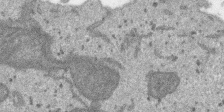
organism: Human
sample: Lung epithelial cells infected with SARS-CoV-2